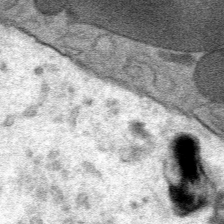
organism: Mouse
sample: Mouse Salivary gland